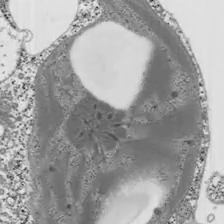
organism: Chlamydomonas reinhardtii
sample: Whole Cell